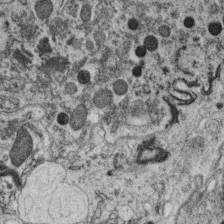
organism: C. elegans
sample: C. elegans oocyte; sperm cells